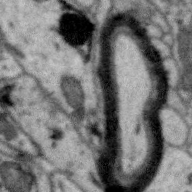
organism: Zebra finch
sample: Brain